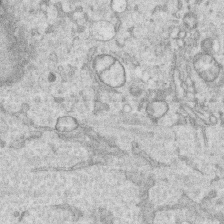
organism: Human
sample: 1205lu cells